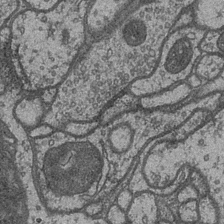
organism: Drosophila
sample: Optic medulla